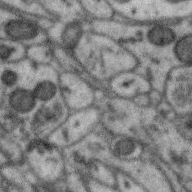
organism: Zebra finch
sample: Brain